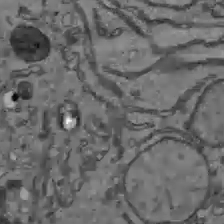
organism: C57BL Mouse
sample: Liver